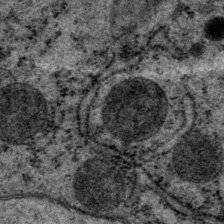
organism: P. pacificus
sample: Pharynx